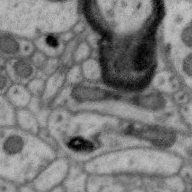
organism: Zebra finch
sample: Brain